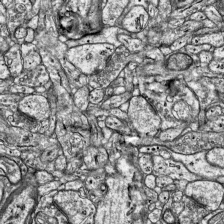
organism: Mouse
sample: Visual Cortex